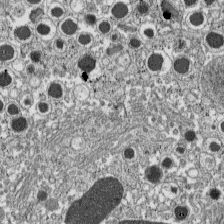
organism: C57BL Mouse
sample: Pancreatic islet